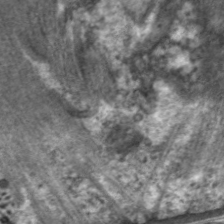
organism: C. elegans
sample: Pharynx